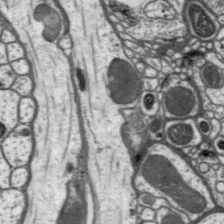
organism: Drosophila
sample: Protocerebral bridge